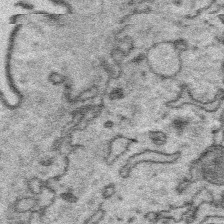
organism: Platynereis dumerilii